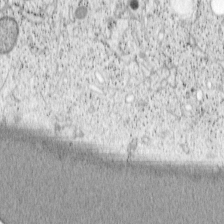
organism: African green monkey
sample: COS-7 cells